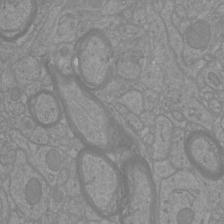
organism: Mouse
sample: Cortical neurons